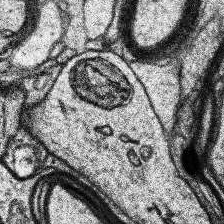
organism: Human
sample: Temporal Lobe